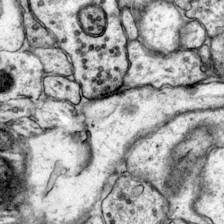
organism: Mouse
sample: Primary visual cortex